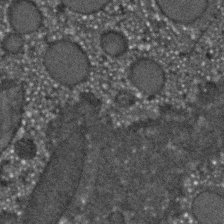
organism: C. elegans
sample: C. elegans embryo